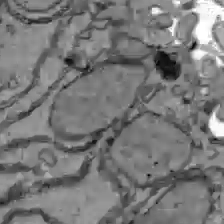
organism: C57BL Mouse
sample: Liver